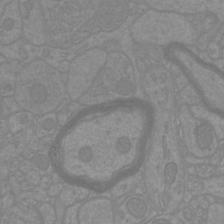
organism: Mouse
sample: Cortical neurons